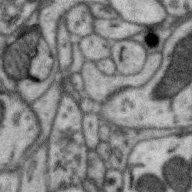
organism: Zebra finch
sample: Brain